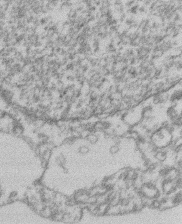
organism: Mouse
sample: T cell stromal cell synapse